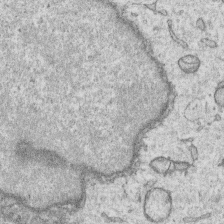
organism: Human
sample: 1205lu cells